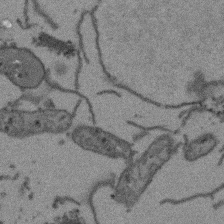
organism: Arabidopsis thaliana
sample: Root tip